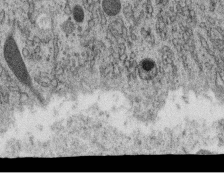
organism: C. elegans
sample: C. elegans oocyte; sperm cells